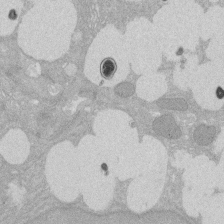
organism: Rat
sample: Salivary granule